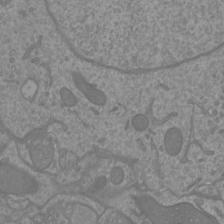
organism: Mouse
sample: Cortical neurons